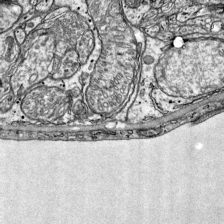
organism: Mouse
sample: Visual Cortex